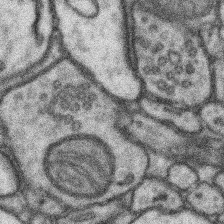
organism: Mouse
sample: Somatosensory cortex neuropil